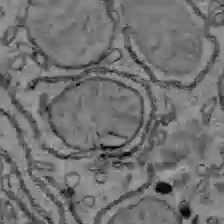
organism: C57BL Mouse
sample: Liver